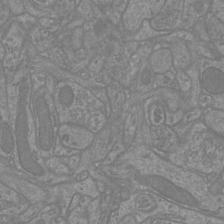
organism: Mouse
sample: Cortical neurons